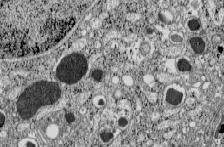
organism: C57BL Mouse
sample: Pancreatic islet